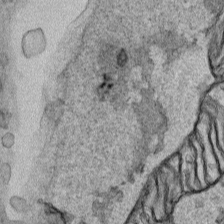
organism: Human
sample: Mitochondria in HCT116 cells